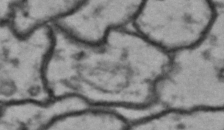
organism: Drosophila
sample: Brain